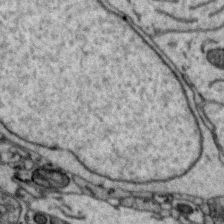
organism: Zebra finch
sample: Brain